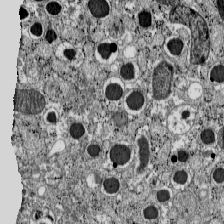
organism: C57BL Mouse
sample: Pancreatic islet